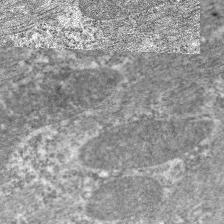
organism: C. elegans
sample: Pharynx